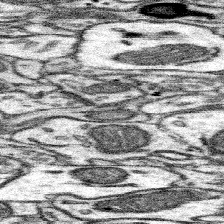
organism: Mouse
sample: Somatosensory cortex neuropil